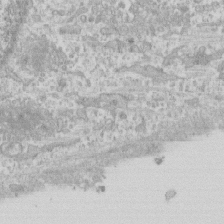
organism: Human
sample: CRL-1474